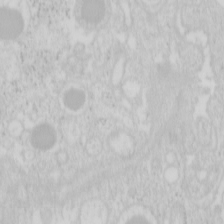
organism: Mouse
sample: Pancreas